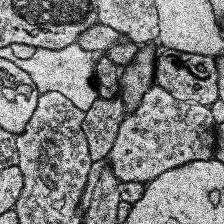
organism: Human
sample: Temporal Lobe